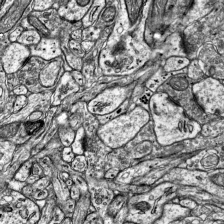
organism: Mouse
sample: Visual Cortex